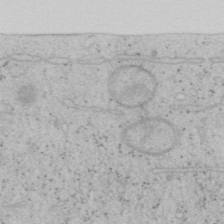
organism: Human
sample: HeLa cells